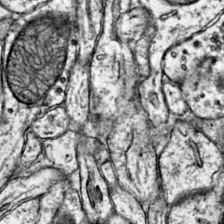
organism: Mouse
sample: Primary visual cortex